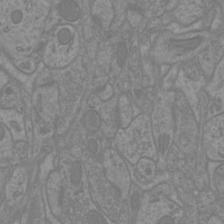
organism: Mouse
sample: Cortical neurons